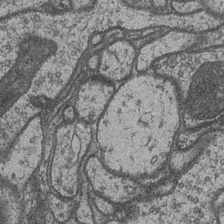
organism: Drosophila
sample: Optic medulla